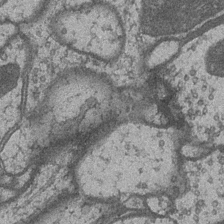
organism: Drosophila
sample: Optic medulla